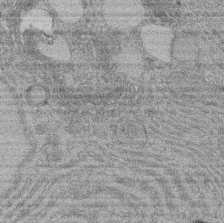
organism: Rat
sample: Salivary granule